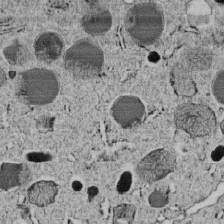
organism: C. elegans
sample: C. elegans embryo early stage